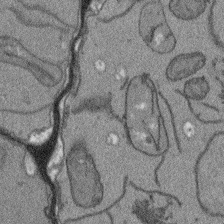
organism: Arabidopsis thaliana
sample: Root tip